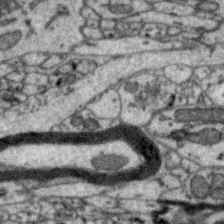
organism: Zebra finch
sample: Brain